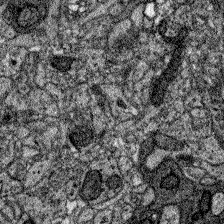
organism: Zebrafish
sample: Larval olfactory bulb